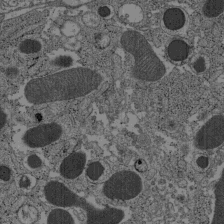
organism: C57BL Mouse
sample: Pancreatic islet